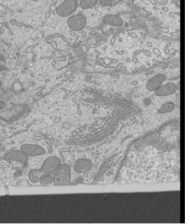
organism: Mouse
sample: Cilia; mouse epididymis